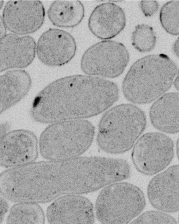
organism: E. coli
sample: Bacterial nucleoid